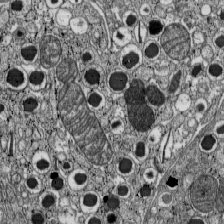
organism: C57BL Mouse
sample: Pancreatic islet